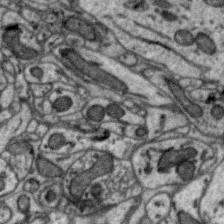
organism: Zebra finch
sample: Brain